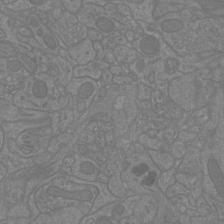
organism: Mouse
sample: Cortical neurons